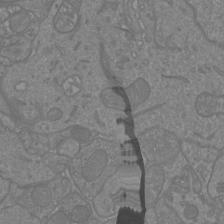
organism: Mouse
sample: Cortical neurons